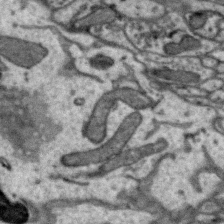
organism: Zebra finch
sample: Brain